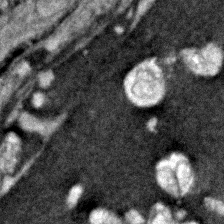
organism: Zebrafish